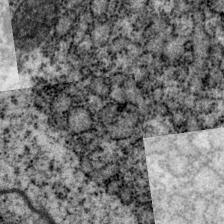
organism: P. pacificus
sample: Pharynx